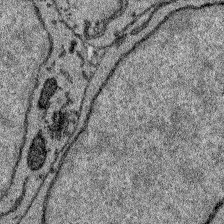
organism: Zebrafish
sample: Larval olfactory bulb